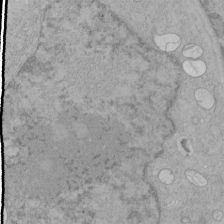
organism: Human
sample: Mitochondria in HCT116 cells